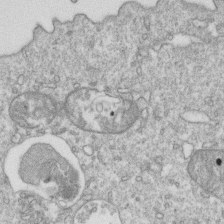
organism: Mouse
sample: Activated OT-1 CD8+ T cells